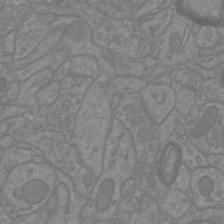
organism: Mouse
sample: Cortical neurons